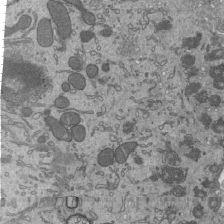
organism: Mouse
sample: Mouse epididymis efferent ductule cilia